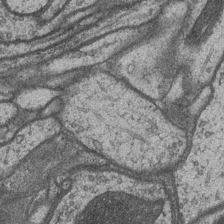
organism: Drosophila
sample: Optic medulla